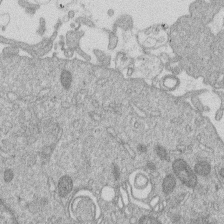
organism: Human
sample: Macrophage cells